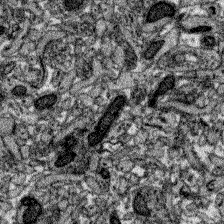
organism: Zebrafish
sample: Larval olfactory bulb